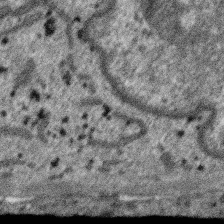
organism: Human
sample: Lung epithelial cells infected with SARS-CoV-2